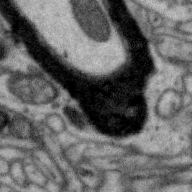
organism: Zebra finch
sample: Brain